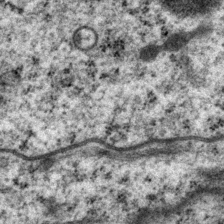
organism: P. pacificus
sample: Pharynx